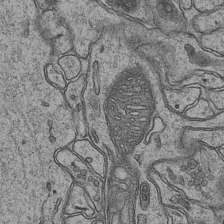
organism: Mouse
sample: CA1 Hippocampus